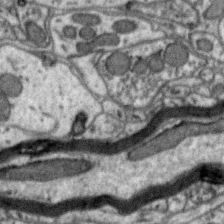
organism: Zebra finch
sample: Brain